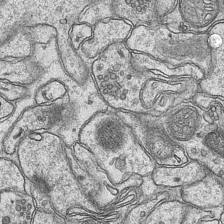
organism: Mouse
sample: CA1 Hippocampus